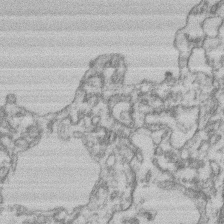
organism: Mouse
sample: T cell stromal cell synapse